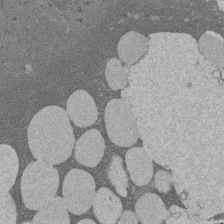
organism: Rat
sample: Salivary granule